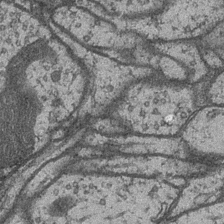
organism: Drosophila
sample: Optic medulla